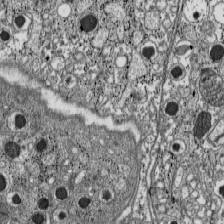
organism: C57BL Mouse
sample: Pancreatic islet